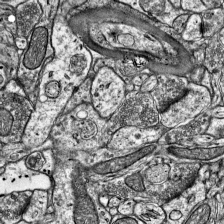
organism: Mouse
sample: Visual Cortex